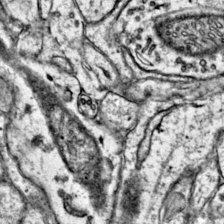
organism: Mouse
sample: Primary visual cortex